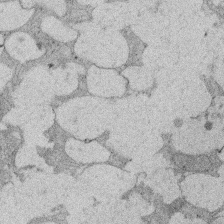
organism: Rat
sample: Salivary granule